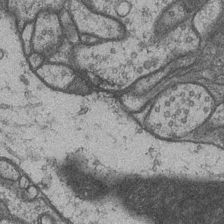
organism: Drosophila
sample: Optic medulla